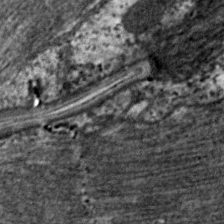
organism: C. elegans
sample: Pharynx